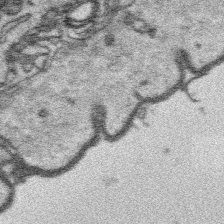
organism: Platynereis dumerilii